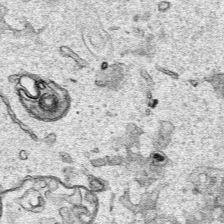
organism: Human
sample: Mitochondria in HCT116 cells